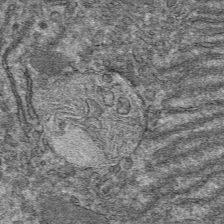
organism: Mouse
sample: Mouse hepatocytes